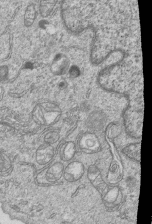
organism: Human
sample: MDA-MB-231 cells